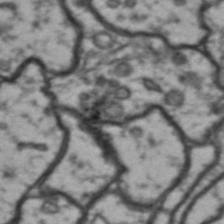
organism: Drosophila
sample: Brain